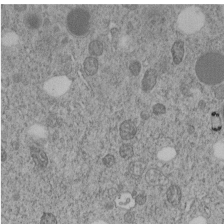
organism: C. elegans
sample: C. elegans embryo early stage